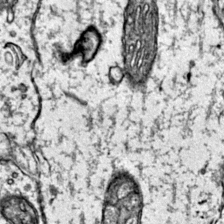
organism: Mouse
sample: Primary visual cortex